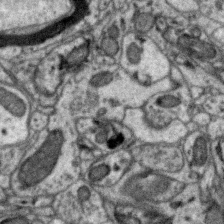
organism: Zebra finch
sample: Brain